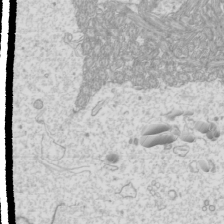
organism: Mouse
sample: Cilia; mouse epididymis